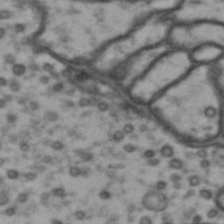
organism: Drosophila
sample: Brain